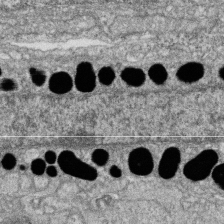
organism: Zebrafish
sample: Cilia; retinal pigment epithelium